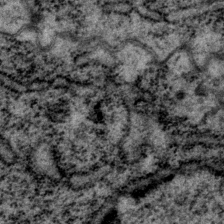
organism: P. pacificus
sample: Pharynx